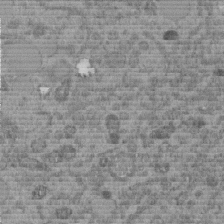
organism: C. elegans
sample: C. elegans embryo early stage